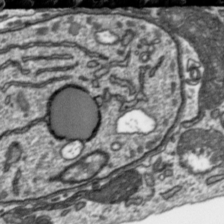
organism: Toxoplasma gondii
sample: Parasites in a vacuole inside a host cell